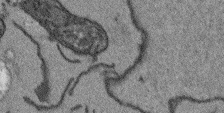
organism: Arabidopsis thaliana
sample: Root tip